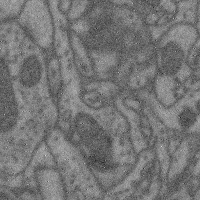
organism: Mouse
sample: Cerebral cortex